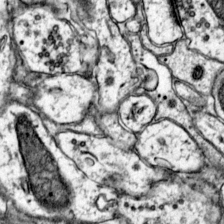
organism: Mouse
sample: Primary visual cortex